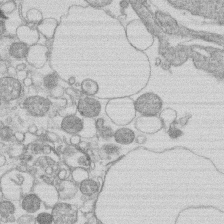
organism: Human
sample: Macrophage cells